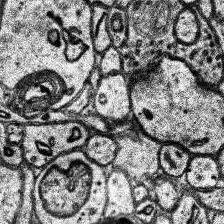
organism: Human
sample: Temporal Lobe